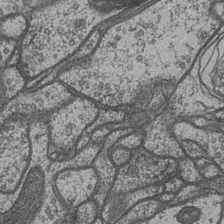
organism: Drosophila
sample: Optic medulla